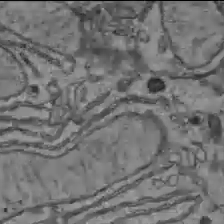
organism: C57BL Mouse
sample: Liver